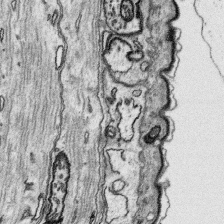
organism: Platynereis dumerilii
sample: Parapodia